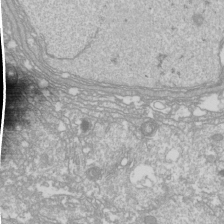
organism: Drosophila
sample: Cell division; meiosis; drosophila spermatocytes